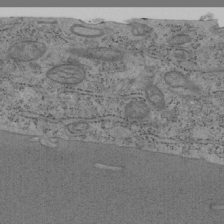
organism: Human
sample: HeLa cells